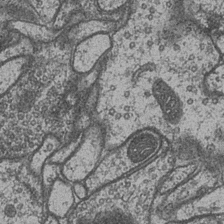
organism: Drosophila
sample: Optic medulla